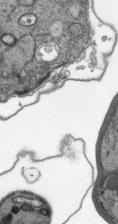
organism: Plasmodium falciparum